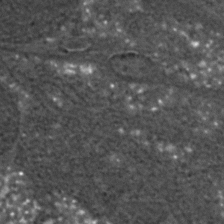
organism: C. elegans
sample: C. elegans embryo